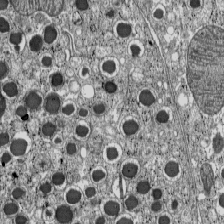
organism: C57BL Mouse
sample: Pancreatic islet